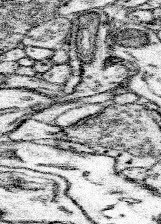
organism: Mouse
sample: Somatosensory cortex neuropil